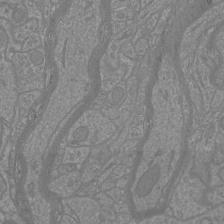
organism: Mouse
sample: Cortical neurons